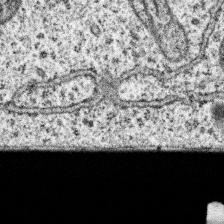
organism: Human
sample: HeLa cells